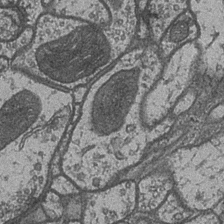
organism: Drosophila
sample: Optic medulla